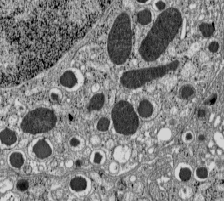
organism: C57BL Mouse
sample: Pancreatic islet